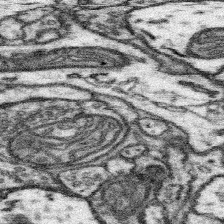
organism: Mouse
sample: Somatosensory cortex neuropil